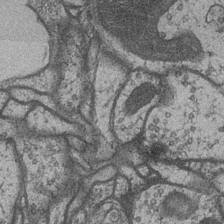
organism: Drosophila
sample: Optic medulla